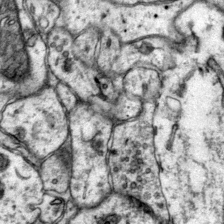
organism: Mouse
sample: Primary visual cortex